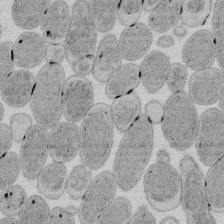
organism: E. coli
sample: Bacterial nucleoid